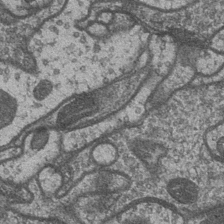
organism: Drosophila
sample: Optic medulla